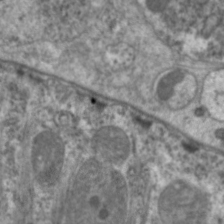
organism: C. elegans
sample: Pharynx